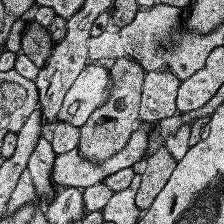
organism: Human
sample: Temporal Lobe